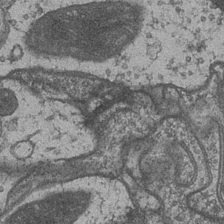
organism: Drosophila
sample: Optic medulla